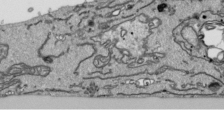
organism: Human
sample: Mitochondria in HCT116 cells